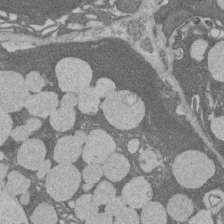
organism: Rat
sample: Salivary granule